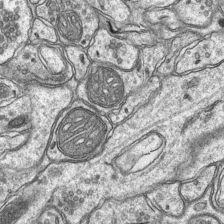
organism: Mouse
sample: CA1 Hippocampus